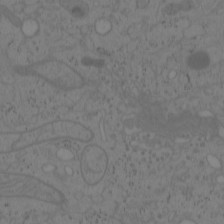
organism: Human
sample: HeLa cells